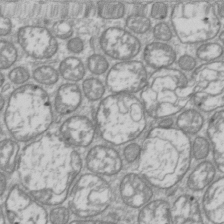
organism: Drosophila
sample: Cell division; meiosis; drosophila spermatocytes